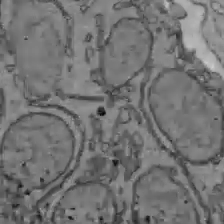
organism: C57BL Mouse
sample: Liver